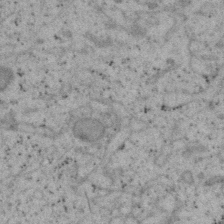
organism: Human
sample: HeLa cells